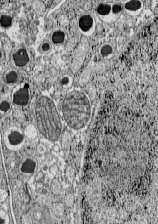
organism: C57BL Mouse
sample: Pancreatic islet